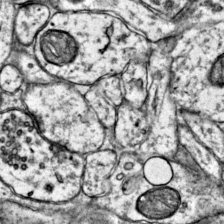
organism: Mouse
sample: Primary visual cortex